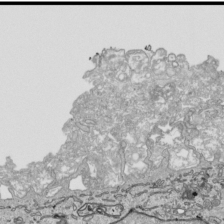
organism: Human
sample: Mitochondria in HCT116 cells